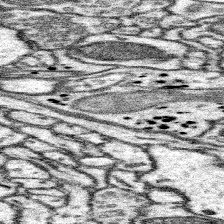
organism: Mouse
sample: Somatosensory cortex neuropil